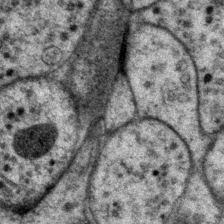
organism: P. pacificus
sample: Pharynx